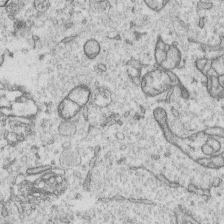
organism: Human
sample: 1205lu cells